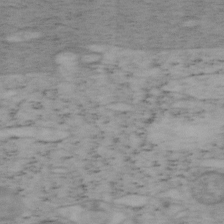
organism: Mouse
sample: OT-I killer T cells with ID8 ovarian cancer cells